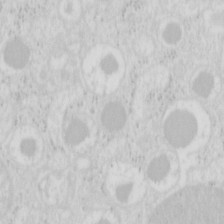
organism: Mouse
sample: Pancreas